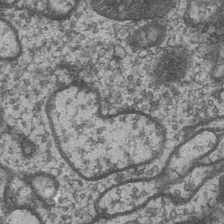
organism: Drosophila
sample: Optic medulla